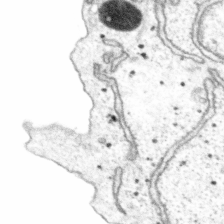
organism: Human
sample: HeLa cells